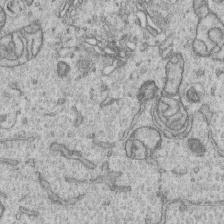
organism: Human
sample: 1205lu cells